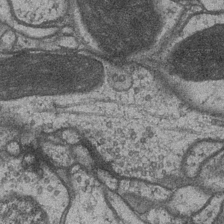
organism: Drosophila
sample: Optic medulla